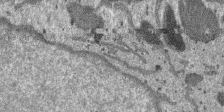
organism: Human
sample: Lung epithelial cells infected with SARS-CoV-2